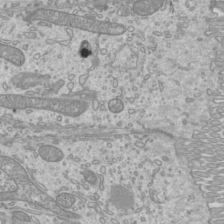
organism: Mouse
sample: Cilia; mouse epididymis